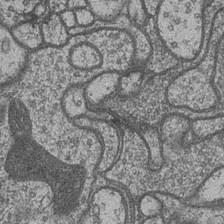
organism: Drosophila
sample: Optic medulla